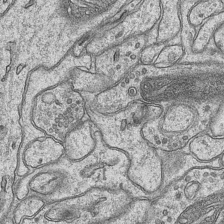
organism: Mouse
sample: CA1 Hippocampus